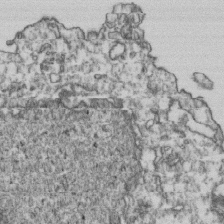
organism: Human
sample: Activated Jurkat CD4+ T cells